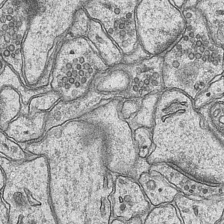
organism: Mouse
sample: CA1 Hippocampus